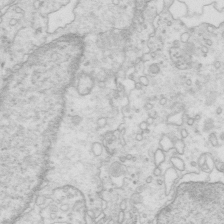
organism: Mouse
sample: Multiciliated cells